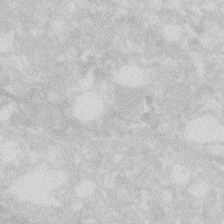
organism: Zebrafish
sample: Macrophage